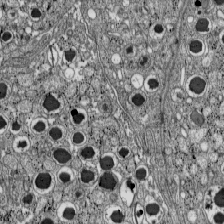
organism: C57BL Mouse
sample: Pancreatic islet